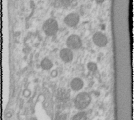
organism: Human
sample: Cilia; basal body in RPE cells